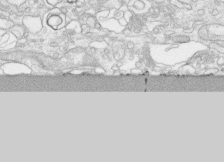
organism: Human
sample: CRL-1474